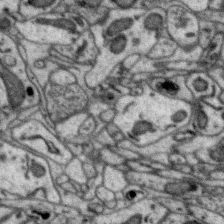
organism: Zebra finch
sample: Brain